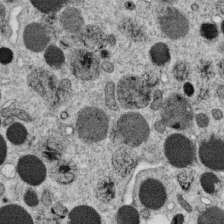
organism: C. elegans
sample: C. elegans oocyte; sperm cells